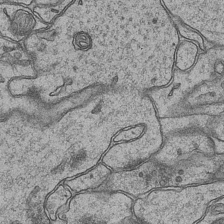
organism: Mouse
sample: CA1 Hippocampus